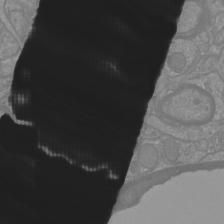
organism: Mouse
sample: Cortical neurons